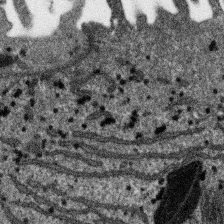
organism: Human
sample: Lung epithelial cells infected with SARS-CoV-2